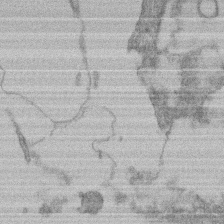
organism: Mouse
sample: T cell stromal cell synapse